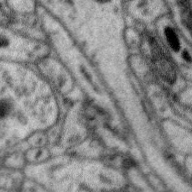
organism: Zebra finch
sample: Brain